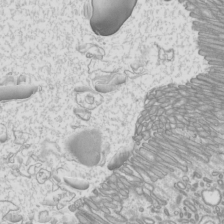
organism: Mouse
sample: Cilia; mouse epididymis